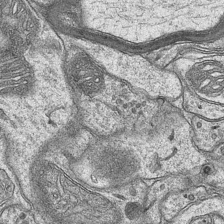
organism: Mouse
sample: CA1 Hippocampus